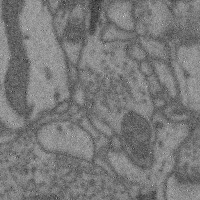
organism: Mouse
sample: Cerebral cortex